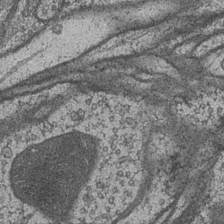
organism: Drosophila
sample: Optic medulla